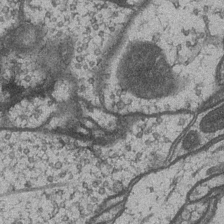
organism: Drosophila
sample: Optic medulla